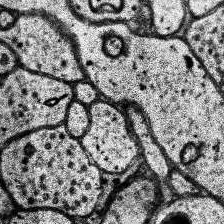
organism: Human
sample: Temporal Lobe